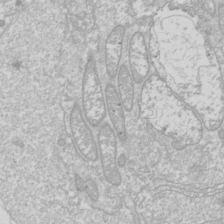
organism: Drosophila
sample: Cell division; meiosis; drosophila spermatocytes